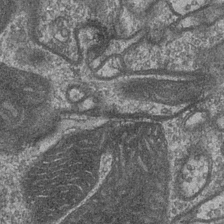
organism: Drosophila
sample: Optic medulla